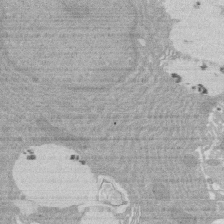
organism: Rat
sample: Salivary granule